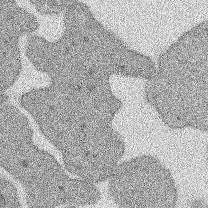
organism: Human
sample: HeLa cells